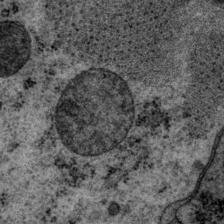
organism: P. pacificus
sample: Pharynx